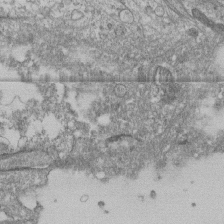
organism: Human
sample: Fibroblast cells